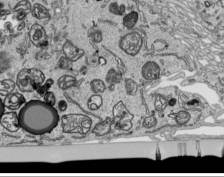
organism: Human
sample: Mitochondria in HCT116 cells